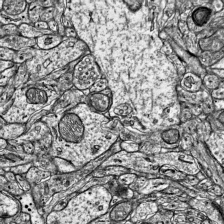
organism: Mouse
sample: Visual Cortex